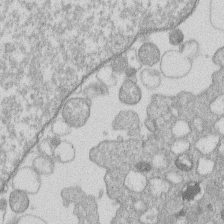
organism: Human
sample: Macrophage cells